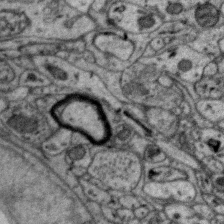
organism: Zebra finch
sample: Brain